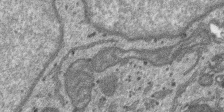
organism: Human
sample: Lung epithelial cells infected with SARS-CoV-2